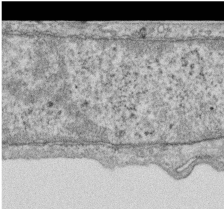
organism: Human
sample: Centriole in RPE cells